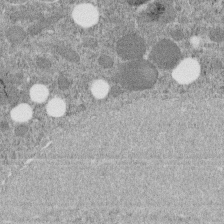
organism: C. elegans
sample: C. elegans embryo early stage